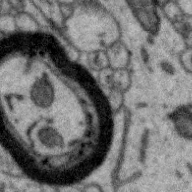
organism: Zebra finch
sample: Brain